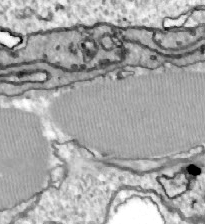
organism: Zebrafish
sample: Actinotrichia fibers